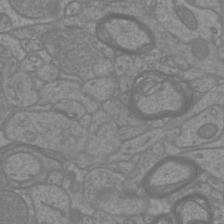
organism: Mouse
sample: Cortical neurons